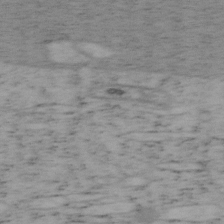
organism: Mouse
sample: OT-I killer T cells with ID8 ovarian cancer cells